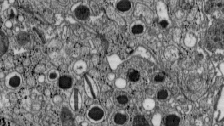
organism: C57BL Mouse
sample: Pancreatic islet